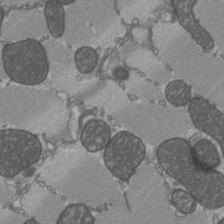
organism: C57BL Mouse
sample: Heart